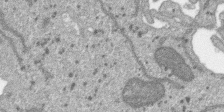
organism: Human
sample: Lung epithelial cells infected with SARS-CoV-2